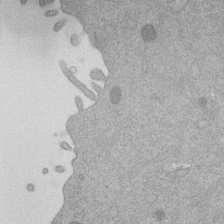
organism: Mouse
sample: Dividing mouse embryo 1 cell stage